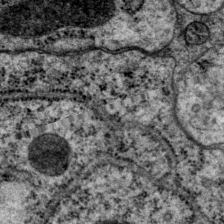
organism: P. pacificus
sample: Pharynx